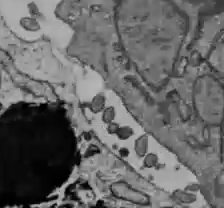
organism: C57BL Mouse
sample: Liver